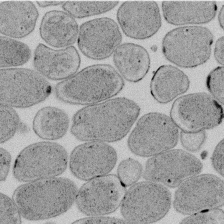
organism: E. coli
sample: Bacterial nucleoid